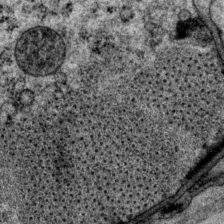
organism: P. pacificus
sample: Pharynx